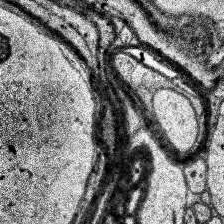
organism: Human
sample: Temporal Lobe